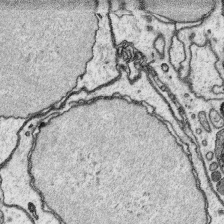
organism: Platynereis dumerilii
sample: Parapodia